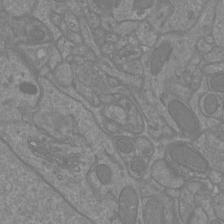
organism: Mouse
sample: Cortical neurons